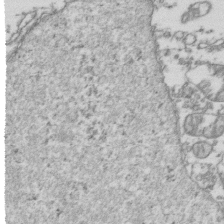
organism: Human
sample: Activated Jurkat CD4+ T cells